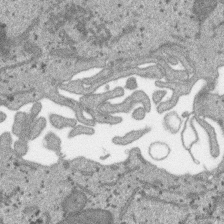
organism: Human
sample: Lung epithelial cells infected with SARS-CoV-2